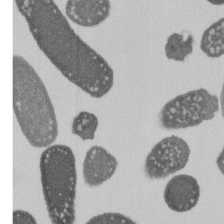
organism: E. coli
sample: Bacterial nucleoid